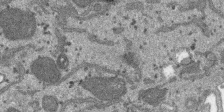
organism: Human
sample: Lung epithelial cells infected with SARS-CoV-2